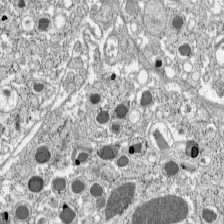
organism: C57BL Mouse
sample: Pancreatic islet